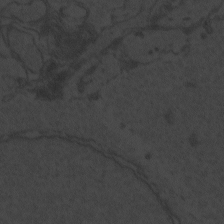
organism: Zebrafish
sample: Macrophage infected with Toxoplasma gondii